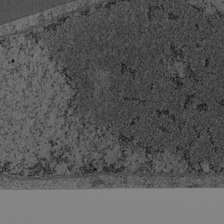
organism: African green monkey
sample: COS-7 cells